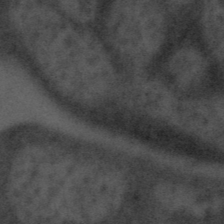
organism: Tuwongella immobilis